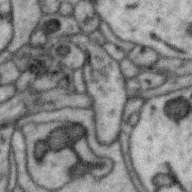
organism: Zebra finch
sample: Brain